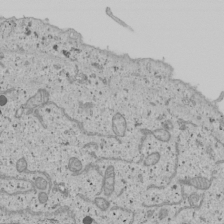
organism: Human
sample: Mitochondria in U2OS cells